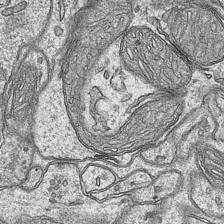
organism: Mouse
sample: CA1 Hippocampus